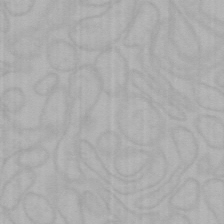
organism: Mouse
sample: Choroid plexus